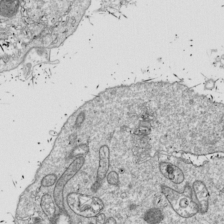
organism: Drosophila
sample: Cell division; meiosis; drosophila spermatocytes